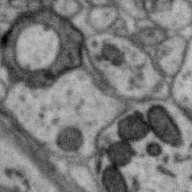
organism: Zebra finch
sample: Brain